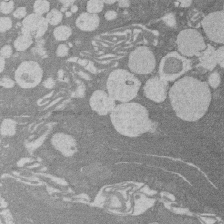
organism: Rat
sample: Salivary granule